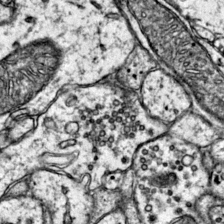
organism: Mouse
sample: Primary visual cortex